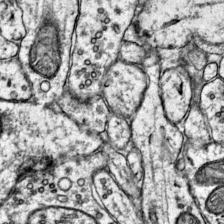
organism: Mouse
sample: Primary visual cortex